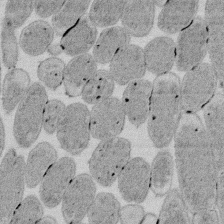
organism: E. coli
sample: Bacterial nucleoid